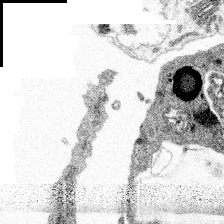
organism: Spongilla lacustris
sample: Multiple